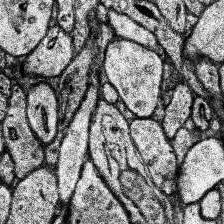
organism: Human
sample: Temporal Lobe